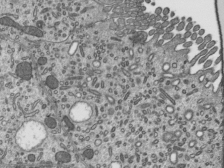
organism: Mouse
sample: Mouse epididymis efferent ductule cilia